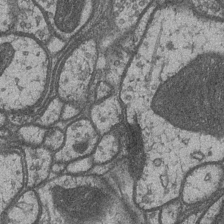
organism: Drosophila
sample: Optic medulla